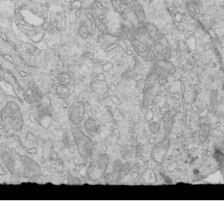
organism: Mouse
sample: Multiciliated cells